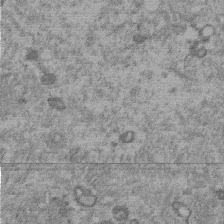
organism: Mouse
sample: Dividing mouse embryo 1 cell stage